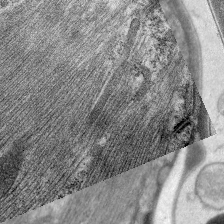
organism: C. elegans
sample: Pharynx